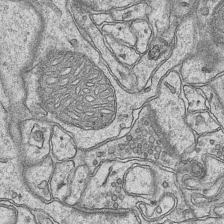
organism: Mouse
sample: CA1 Hippocampus